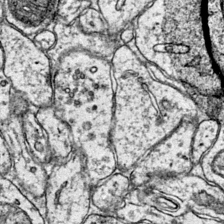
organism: Mouse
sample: Primary visual cortex